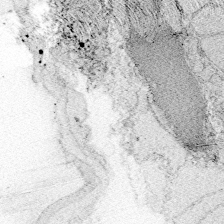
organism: Zebrafish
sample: Whole-Brain